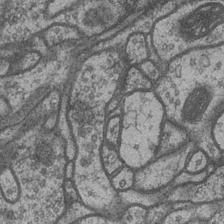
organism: Drosophila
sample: Optic medulla